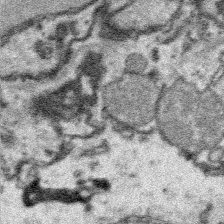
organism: Platynereis dumerilii